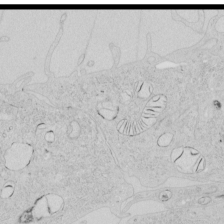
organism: Human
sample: Mitochondria in HCT116 cells